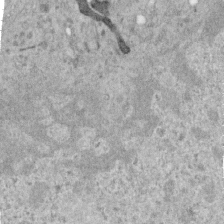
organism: Human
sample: Centriole in RPE cells